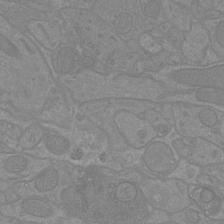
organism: Mouse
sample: Cortical neurons